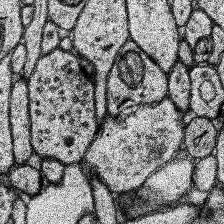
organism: Human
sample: Temporal Lobe